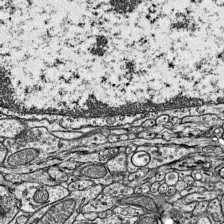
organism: Mouse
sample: Visual Cortex